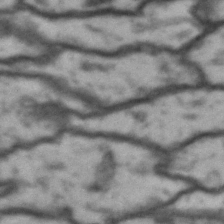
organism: Drosophila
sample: Brain